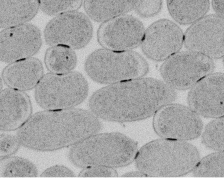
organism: E. coli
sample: Bacterial nucleoid